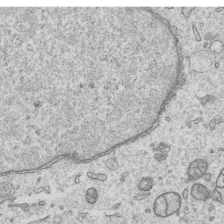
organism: Human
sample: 1205lu cells